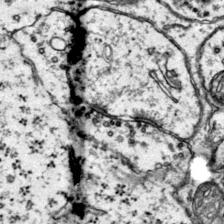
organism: Mouse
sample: Primary visual cortex